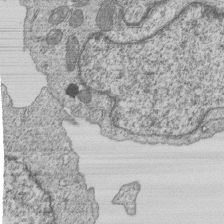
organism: Human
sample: MDA-MB-231 cells